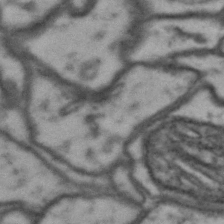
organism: Drosophila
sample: Brain